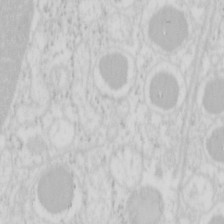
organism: Mouse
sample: Pancreas